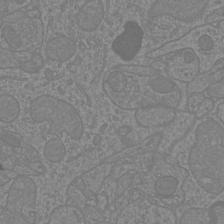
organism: Mouse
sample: Cortical neurons